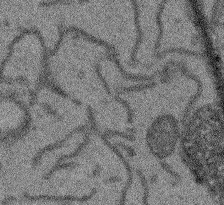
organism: Arabidopsis thaliana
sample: Root tip